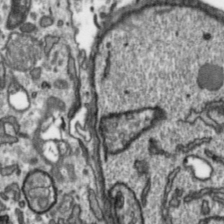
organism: Toxoplasma gondii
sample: Parasites in a vacuole inside a host cell